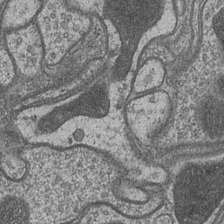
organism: Drosophila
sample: Optic medulla